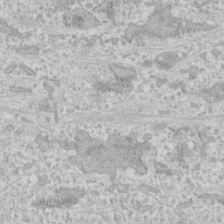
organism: Human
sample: CRL-1474